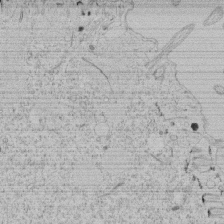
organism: Tetrahymena